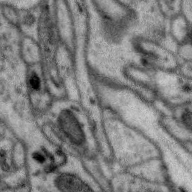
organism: Zebra finch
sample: Brain